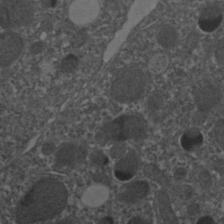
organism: C. elegans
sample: C. elegans embryo